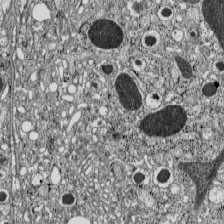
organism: C57BL Mouse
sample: Pancreatic islet